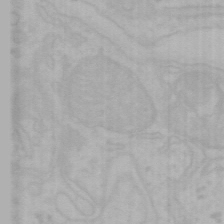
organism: Mouse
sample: Choroid plexus